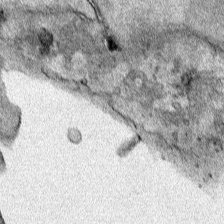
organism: Human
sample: Mitochondria in HCT116 cells